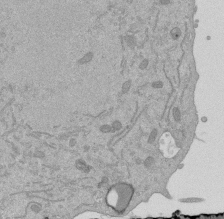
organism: Mouse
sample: ED-1 cell nuclei; centrioles